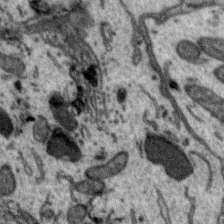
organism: Zebra finch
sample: Brain